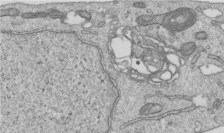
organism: Human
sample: Centriole in RPE cells